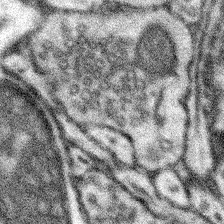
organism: Mouse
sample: Somatosensory cortex neuropil